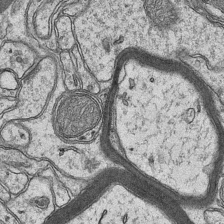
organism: Mouse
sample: CA1 Hippocampus